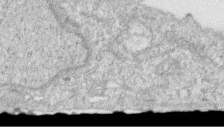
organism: Human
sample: HeLa cell HIV synapse